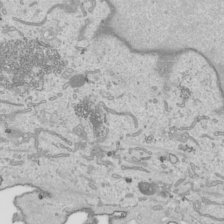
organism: Human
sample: Mitochondria in HCT116 cells